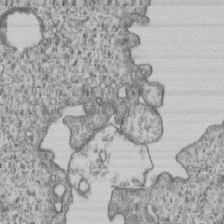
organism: Human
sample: MDA-MB-231 cells